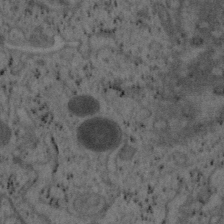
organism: Human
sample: HeLa cells